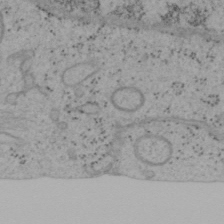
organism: Human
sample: HeLa cells